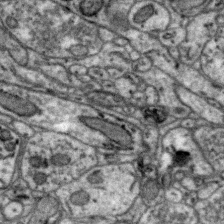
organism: Zebra finch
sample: Brain